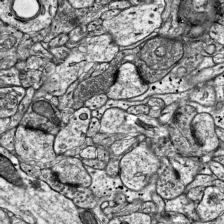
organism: Mouse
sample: Visual Cortex